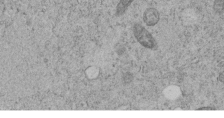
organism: C. elegans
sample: C. elegans embryo early stage